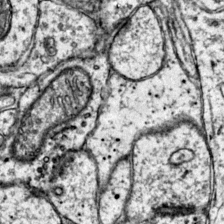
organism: Mouse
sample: Primary visual cortex